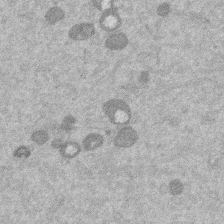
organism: Mouse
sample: Dividing mouse embryo 1 cell stage